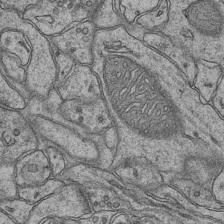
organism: Mouse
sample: CA1 Hippocampus